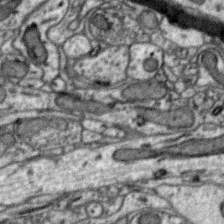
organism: Zebra finch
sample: Brain